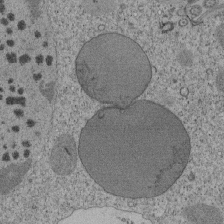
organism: Tetrahymena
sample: Cilia in tetrahymena